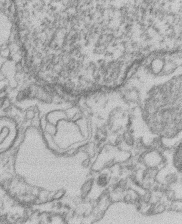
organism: Mouse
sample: T cell stromal cell synapse